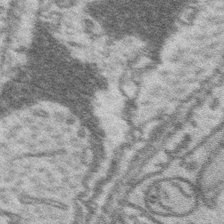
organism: Platynereis dumerilii